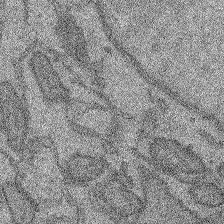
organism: Human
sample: HeLa cells